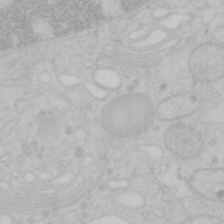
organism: Mouse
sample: OT-I killer T cells with ID8 ovarian cancer cells